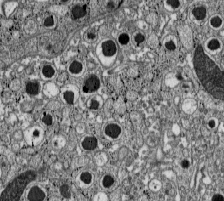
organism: C57BL Mouse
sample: Pancreatic islet